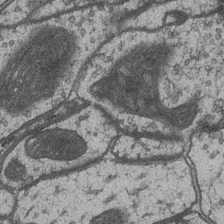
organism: Drosophila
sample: Optic medulla